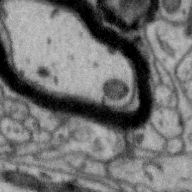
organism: Zebra finch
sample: Brain